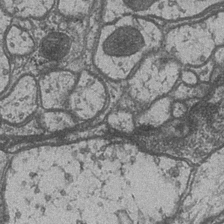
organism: Drosophila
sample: Optic medulla